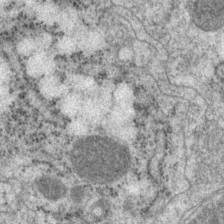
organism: P. pacificus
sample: Pharynx